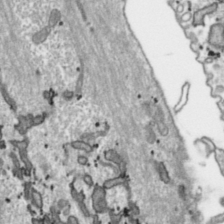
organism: Toxoplasma gondii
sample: Parasites in a vacuole inside a host cell